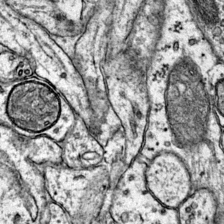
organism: Mouse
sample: Primary visual cortex